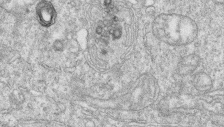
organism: Human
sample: HeLa cell HIV synapse